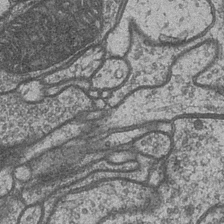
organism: Drosophila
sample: Optic medulla